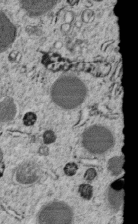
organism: C. elegans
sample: C. elegans embryo early stage